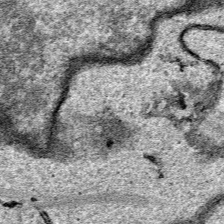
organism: Human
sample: Mitochondria in HCT116 cells